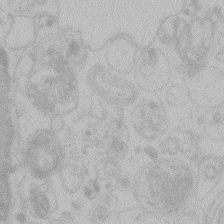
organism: Zebrafish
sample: Macrophage infected with Toxoplasma gondii